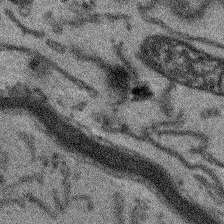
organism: Arabidopsis thaliana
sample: Root tip